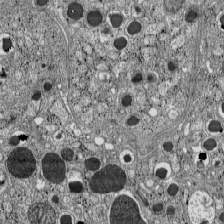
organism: C57BL Mouse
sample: Pancreatic islet